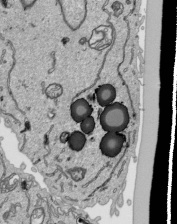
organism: Human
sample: Mitochondria in HCT116 cells